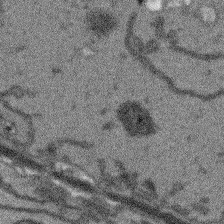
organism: Arabidopsis thaliana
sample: Root tip